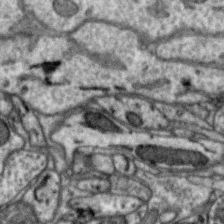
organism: Zebra finch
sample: Brain